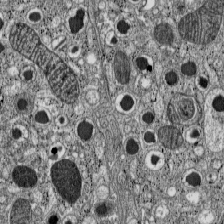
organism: C57BL Mouse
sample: Pancreatic islet